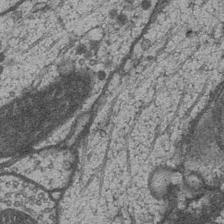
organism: Drosophila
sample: Optic medulla